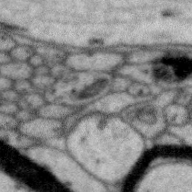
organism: Zebra finch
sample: Brain